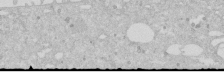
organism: Human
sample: Caco-2 cells